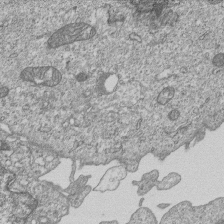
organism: Human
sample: MDA-MB-231 cells